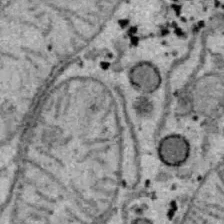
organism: Mouse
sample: Liver from an obese (ob/ob) mouse